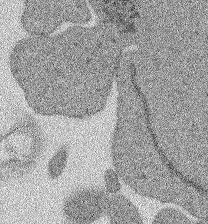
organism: Human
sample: HeLa cells